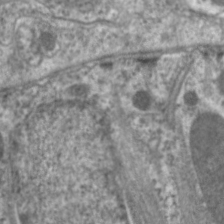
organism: C. elegans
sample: Pharynx